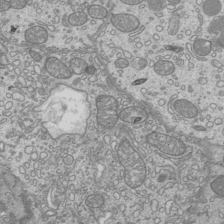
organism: Mouse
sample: Cilia; mouse epididymis